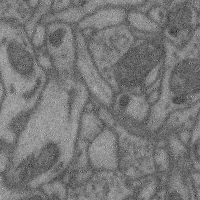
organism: Mouse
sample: Cerebral cortex